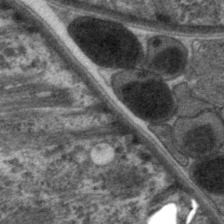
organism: C. elegans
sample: Pharynx